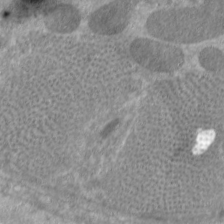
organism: C. elegans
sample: Pharynx